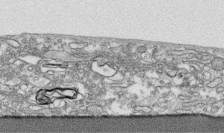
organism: Human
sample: CRL-1474